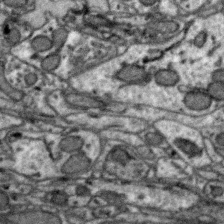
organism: Zebra finch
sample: Brain